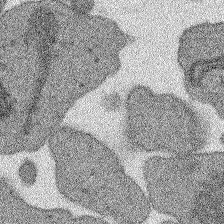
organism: Human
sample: HeLa cells